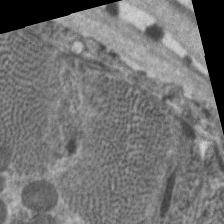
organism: C. elegans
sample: Pharynx